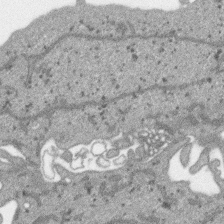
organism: Human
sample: Lung epithelial cells infected with SARS-CoV-2